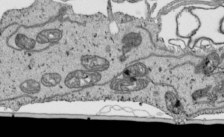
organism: Human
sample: Mitochondria in HCT116 cells